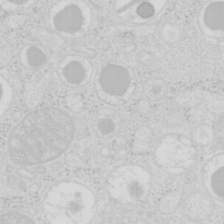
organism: Mouse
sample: Pancreas